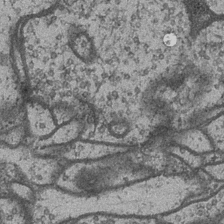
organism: Drosophila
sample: Optic medulla